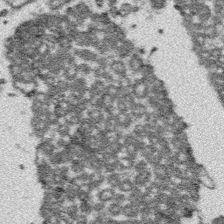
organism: Platynereis dumerilii